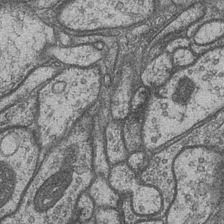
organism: Drosophila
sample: Optic medulla